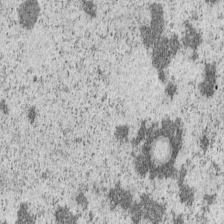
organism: Mouse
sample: OT-I killer T cells with ID8 ovarian cancer cells